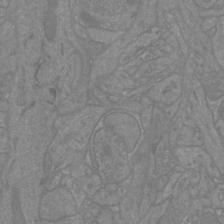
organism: Mouse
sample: Cortical neurons